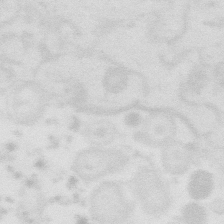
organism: Human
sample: HeLa cells